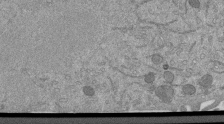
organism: Mouse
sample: ED-1 cell nuclei; centrioles